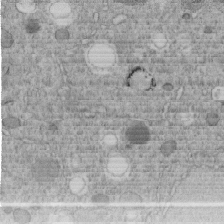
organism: C. elegans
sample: C. elegans embryo early stage